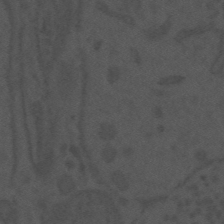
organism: Mouse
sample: Suprachiasmatic nucleus